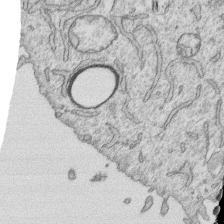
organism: Human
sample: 1205lu cells